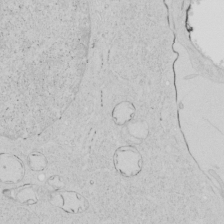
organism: Human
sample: Mitochondria in HCT116 cells